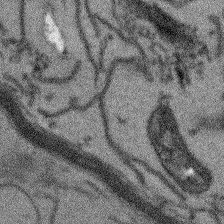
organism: Arabidopsis thaliana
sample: Root tip